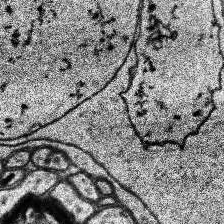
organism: Human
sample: Temporal Lobe